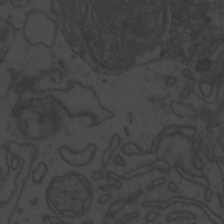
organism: Zebrafish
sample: Macrophage infected with Toxoplasma gondii